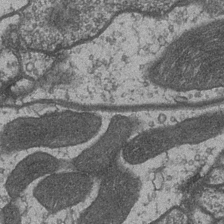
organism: Drosophila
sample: Optic medulla